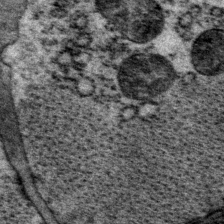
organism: P. pacificus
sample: Pharynx